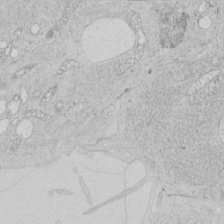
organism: Human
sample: Mitochondria in HCT116 cells